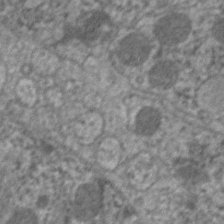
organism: C. elegans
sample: Pharynx